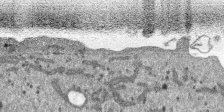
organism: Human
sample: Lung epithelial cells infected with SARS-CoV-2